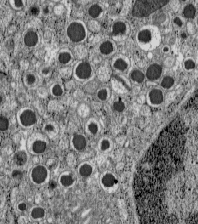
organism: C57BL Mouse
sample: Pancreatic islet